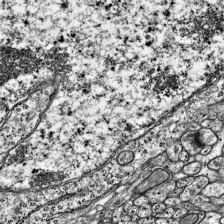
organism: Mouse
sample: Visual Cortex